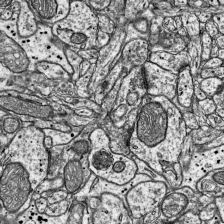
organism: Mouse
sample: Visual Cortex